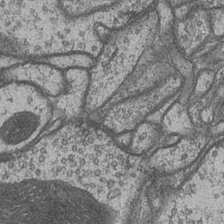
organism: Drosophila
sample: Optic medulla